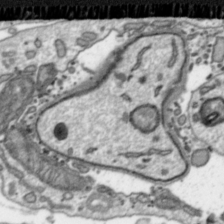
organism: Toxoplasma gondii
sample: Parasites in a vacuole inside a host cell